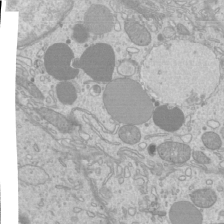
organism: Mouse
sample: Cilia; mouse epididymis